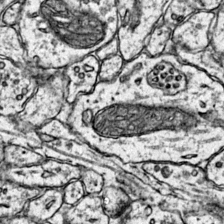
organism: Mouse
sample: Primary visual cortex